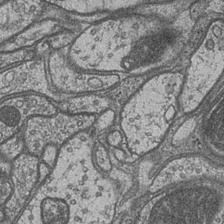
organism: Drosophila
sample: Optic medulla